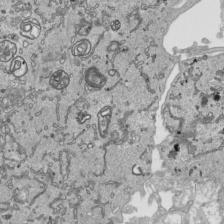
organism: Human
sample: Mitochondria in HCT116 cells